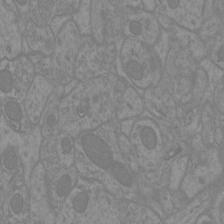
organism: Mouse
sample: Cortical neurons